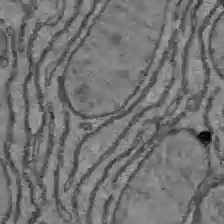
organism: C57BL Mouse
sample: Liver